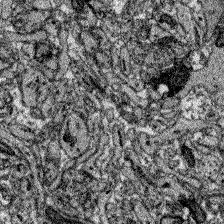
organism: Zebrafish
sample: Larval olfactory bulb